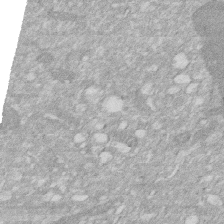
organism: Human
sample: HIV infected U937 cells